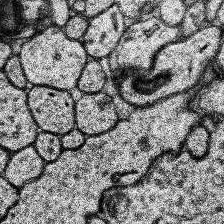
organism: Human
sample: Temporal Lobe